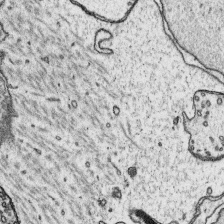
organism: Platynereis dumerilii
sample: Parapodia